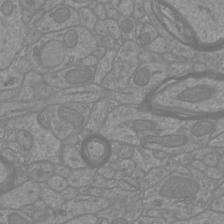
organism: Mouse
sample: Cortical neurons